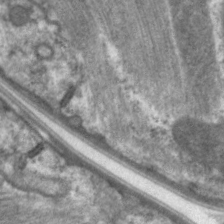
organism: C. elegans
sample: Pharynx